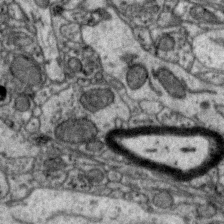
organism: Zebra finch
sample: Brain